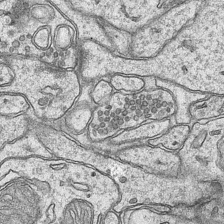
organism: Mouse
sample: CA1 Hippocampus